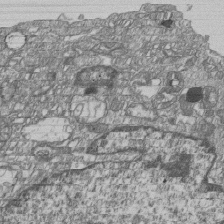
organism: Human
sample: MDA-MB-231 cells